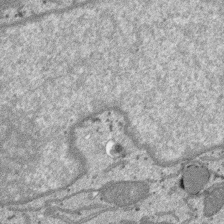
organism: Human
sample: Lung epithelial cells infected with SARS-CoV-2